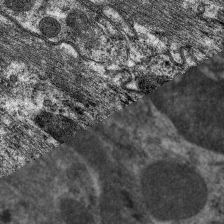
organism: C. elegans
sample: Pharynx